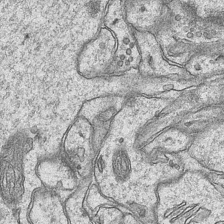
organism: Mouse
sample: CA1 Hippocampus